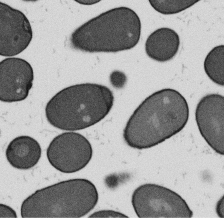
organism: B. subtilis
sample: Bacterial spore